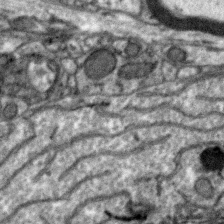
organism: Zebra finch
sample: Brain